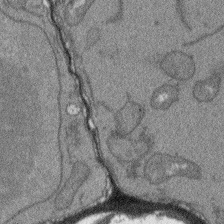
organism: Arabidopsis thaliana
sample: Root tip